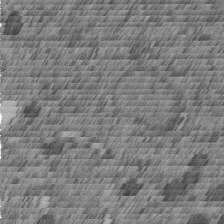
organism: C. elegans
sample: C. elegans embryo early stage